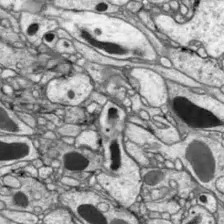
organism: Drosophila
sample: Optic lobe